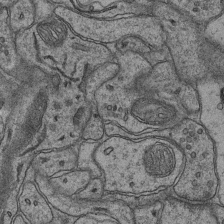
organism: Mouse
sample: CA1 Hippocampus